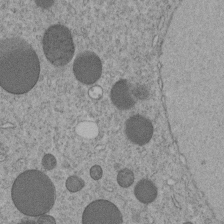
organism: C. elegans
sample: C. elegans embryo early stage